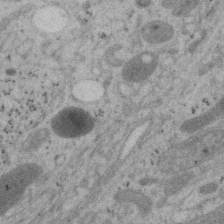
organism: Human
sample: HeLa cells